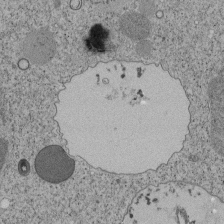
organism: Tetrahymena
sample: Cilia in tetrahymena